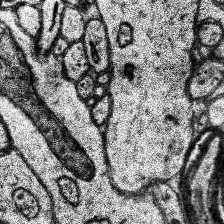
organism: Human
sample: Temporal Lobe